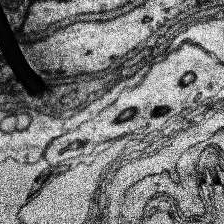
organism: Human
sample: Temporal Lobe